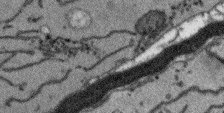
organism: Arabidopsis thaliana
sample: Root tip